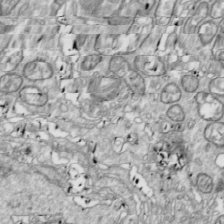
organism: Drosophila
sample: Cell division; meiosis; drosophila spermatocytes